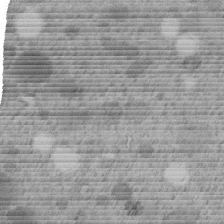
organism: C. elegans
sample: C. elegans embryo early stage